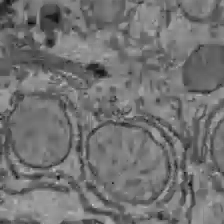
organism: C57BL Mouse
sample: Liver